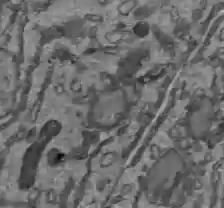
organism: C57BL Mouse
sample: Liver